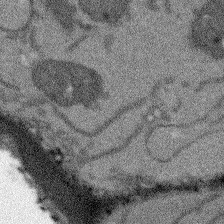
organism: Arabidopsis thaliana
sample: Root tip